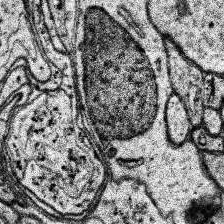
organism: Human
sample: Temporal Lobe